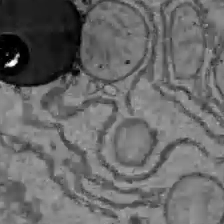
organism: C57BL Mouse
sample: Liver